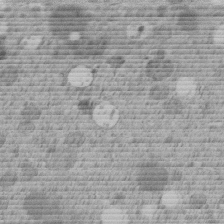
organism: C. elegans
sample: C. elegans embryo early stage